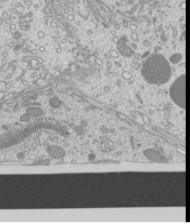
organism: Mouse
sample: Cilia; mouse epididymis